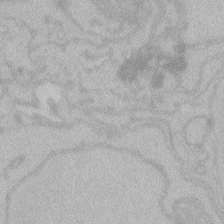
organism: Zebrafish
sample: Macrophage infected with Toxoplasma gondii